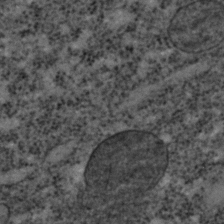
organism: C. elegans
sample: C. elegans embryo